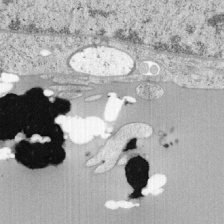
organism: Human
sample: HeLa cells